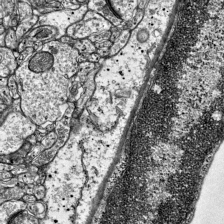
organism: Mouse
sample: Visual Cortex